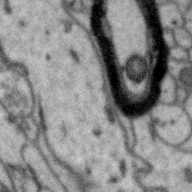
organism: Zebra finch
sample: Brain